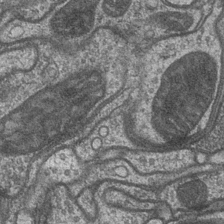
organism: Drosophila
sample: Optic medulla